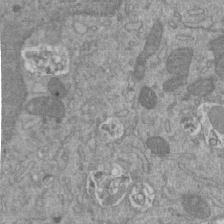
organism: Mouse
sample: ED-1 cell nuclei; centrioles